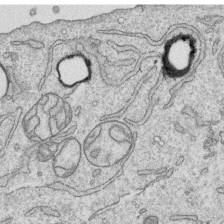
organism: Human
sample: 1205lu cells